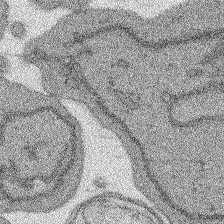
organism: Human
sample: HeLa cells